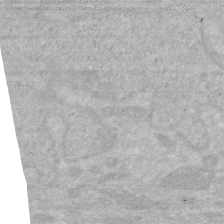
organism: Human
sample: HIV infected U937 cells